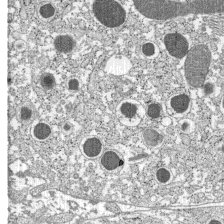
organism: C57BL Mouse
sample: Pancreatic islet